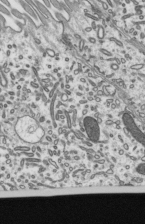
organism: Mouse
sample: Mouse epididymis efferent ductule cilia